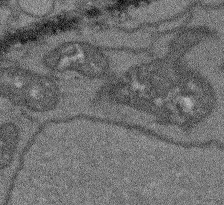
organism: Arabidopsis thaliana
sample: Root tip